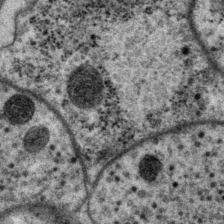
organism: P. pacificus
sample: Pharynx